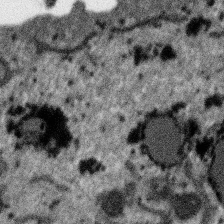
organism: Human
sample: Lung epithelial cells infected with SARS-CoV-2